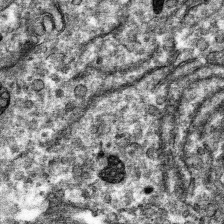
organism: Mouse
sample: Mouse hepatocytes